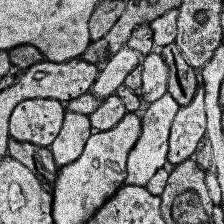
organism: Human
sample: Temporal Lobe